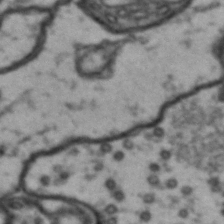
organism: Drosophila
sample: Brain